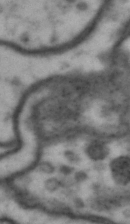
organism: Drosophila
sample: Brain